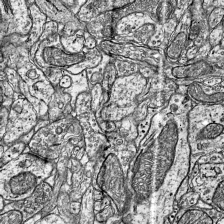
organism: Mouse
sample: Visual Cortex